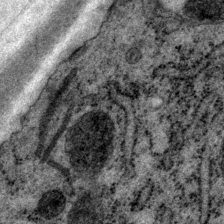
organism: P. pacificus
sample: Pharynx